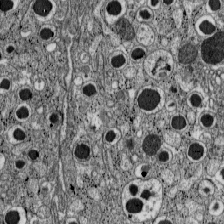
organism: C57BL Mouse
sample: Pancreatic islet